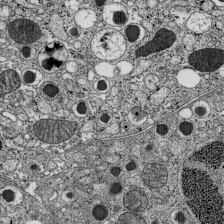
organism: C57BL Mouse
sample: Pancreatic islet